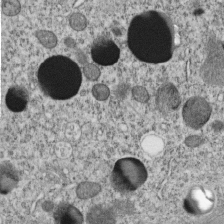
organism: C. elegans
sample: C. elegans embryo early stage